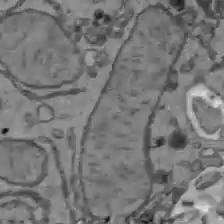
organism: C57BL Mouse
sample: Liver